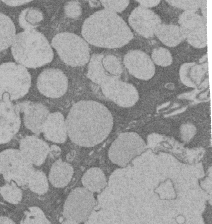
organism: Rat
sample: Salivary granule